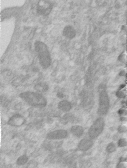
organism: Human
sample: Centriole in RPE cells